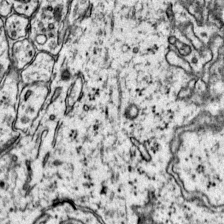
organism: Mouse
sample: Primary visual cortex